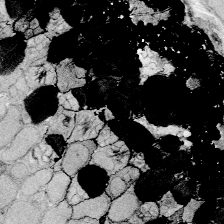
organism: Zebrafish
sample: Whole-Brain